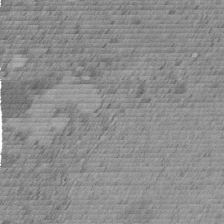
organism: C. elegans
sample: C. elegans embryo early stage